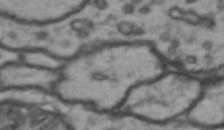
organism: Drosophila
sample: Brain